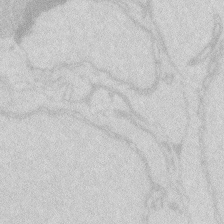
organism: Zebrafish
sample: Macrophage